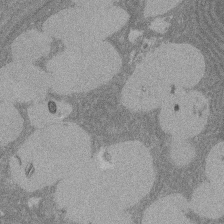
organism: Rat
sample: Salivary granule